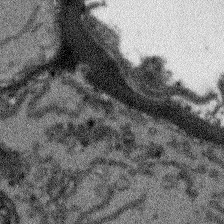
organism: Arabidopsis thaliana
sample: Root tip